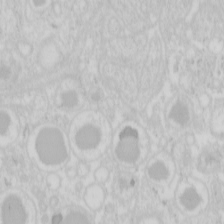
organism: Mouse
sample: Pancreas